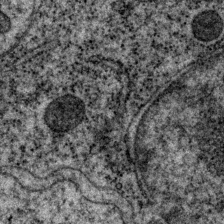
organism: P. pacificus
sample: Pharynx